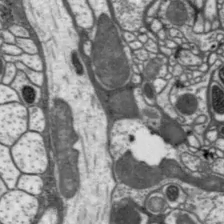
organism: Drosophila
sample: Protocerebral bridge